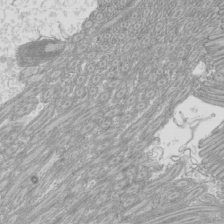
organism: Mouse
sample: Cilia; mouse epididymis